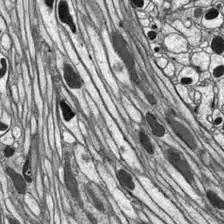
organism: Drosophila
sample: Optic lobe